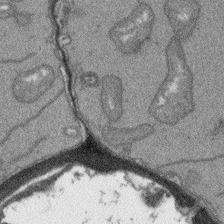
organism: Arabidopsis thaliana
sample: Root tip